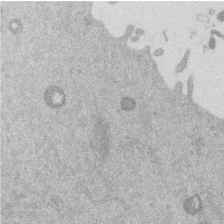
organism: Mouse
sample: Dividing mouse embryo 1 cell stage